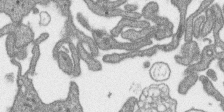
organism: Human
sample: Lung epithelial cells infected with SARS-CoV-2